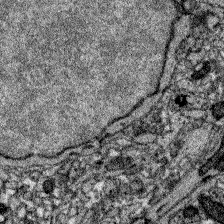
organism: Zebrafish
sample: Larval olfactory bulb